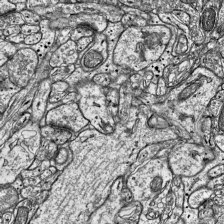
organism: Mouse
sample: Visual Cortex